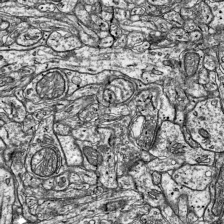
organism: Mouse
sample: Visual Cortex